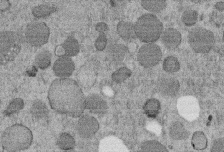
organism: C. elegans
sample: C. elegans embryo early stage